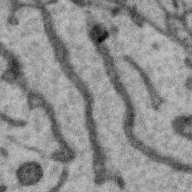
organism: Zebra finch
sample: Brain